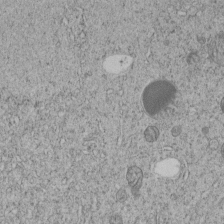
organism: C. elegans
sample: C. elegans embryo early stage